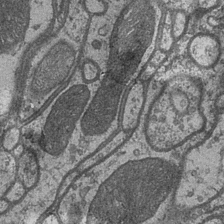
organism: Drosophila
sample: Optic medulla